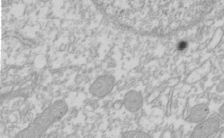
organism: Xenopus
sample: Cilia; centrioles in frog embryo cells